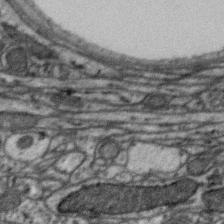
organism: Zebra finch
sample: Brain